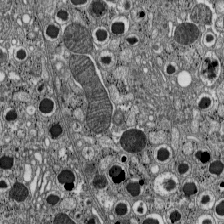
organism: C57BL Mouse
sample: Pancreatic islet